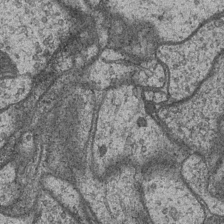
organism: Drosophila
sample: Optic medulla